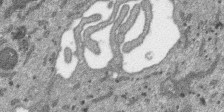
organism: Human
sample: Lung epithelial cells infected with SARS-CoV-2